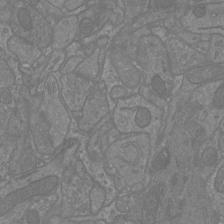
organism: Mouse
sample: Cortical neurons